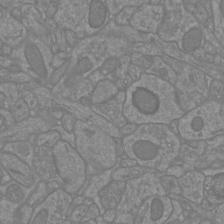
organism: Mouse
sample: Cortical neurons